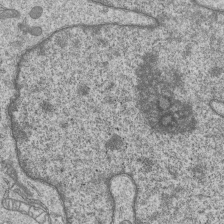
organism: Human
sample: MDA-MB-231 cells